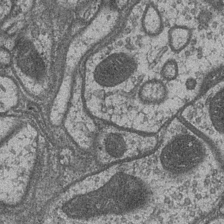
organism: Drosophila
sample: Optic medulla